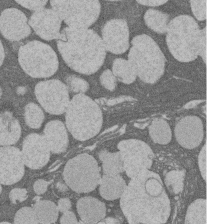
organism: Rat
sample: Salivary granule